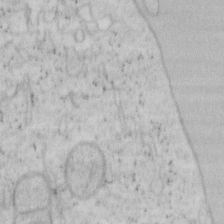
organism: Human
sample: HeLa cells